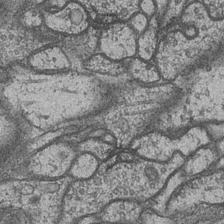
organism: Drosophila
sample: Optic medulla